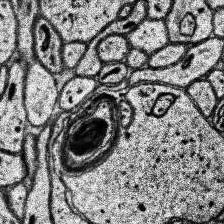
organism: Human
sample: Temporal Lobe